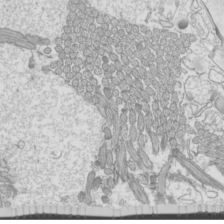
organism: Mouse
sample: Cilia; mouse epididymis